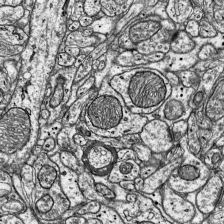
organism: Mouse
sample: Visual Cortex